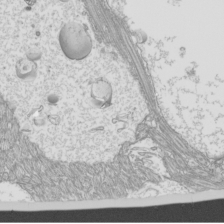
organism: Mouse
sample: Cilia; mouse epididymis